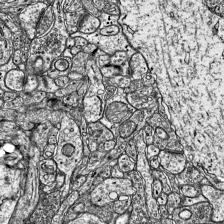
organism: Mouse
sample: Visual Cortex